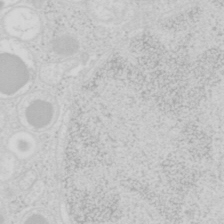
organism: Mouse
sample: Pancreas